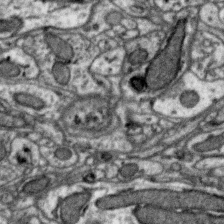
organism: Zebra finch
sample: Brain